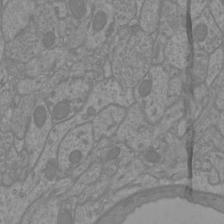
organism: Mouse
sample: Cortical neurons